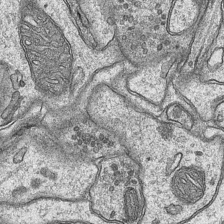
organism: Mouse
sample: CA1 Hippocampus